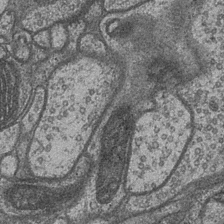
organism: Drosophila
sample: Optic medulla